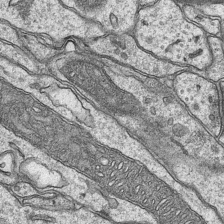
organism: Mouse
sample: CA1 Hippocampus